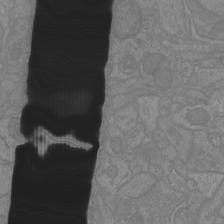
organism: Mouse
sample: Cortical neurons